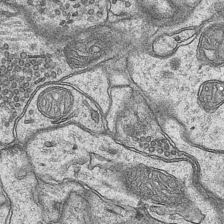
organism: Mouse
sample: CA1 Hippocampus